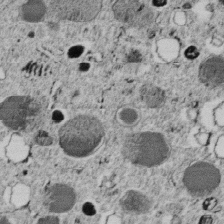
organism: C. elegans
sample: C. elegans embryo early stage